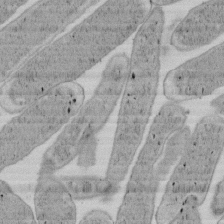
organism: E. coli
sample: Bacterial nucleoid